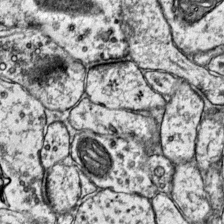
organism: Mouse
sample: Primary visual cortex